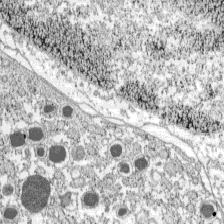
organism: C57BL Mouse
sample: Pancreatic islet